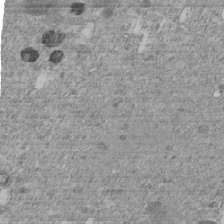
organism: C. elegans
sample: C. elegans embryo early stage